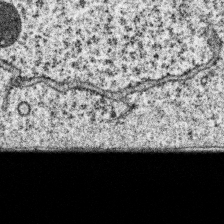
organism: Human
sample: HeLa cells